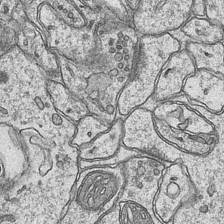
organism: Mouse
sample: CA1 Hippocampus